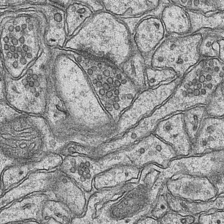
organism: Mouse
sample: CA1 Hippocampus